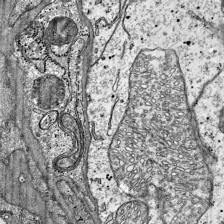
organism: Mouse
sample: Visual Cortex